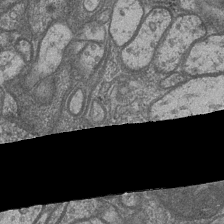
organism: Drosophila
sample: Optic medulla